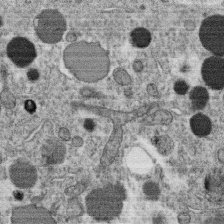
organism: C. elegans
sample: C. elegans oocyte; sperm cells